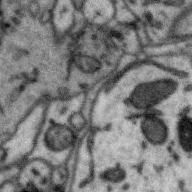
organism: Zebra finch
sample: Brain